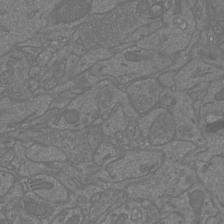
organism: Mouse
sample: Cortical neurons